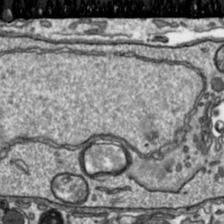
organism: Toxoplasma gondii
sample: Parasites in a vacuole inside a host cell